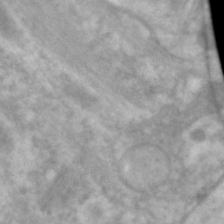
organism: C. elegans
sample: Pharynx